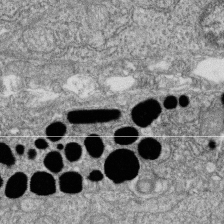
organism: Zebrafish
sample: Cilia; retinal pigment epithelium